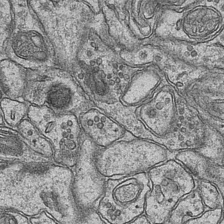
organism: Mouse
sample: CA1 Hippocampus